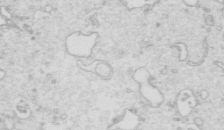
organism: Mouse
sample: Multiciliated cells